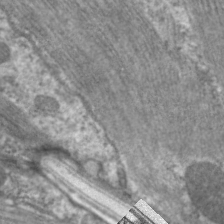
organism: C. elegans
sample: Pharynx